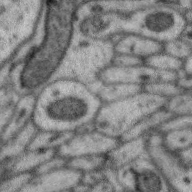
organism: Zebra finch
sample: Brain